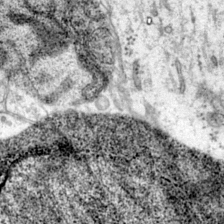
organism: Mouse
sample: Primary visual cortex